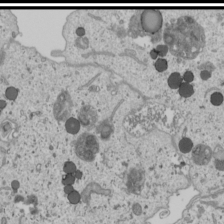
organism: Human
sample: Mitochondria in U2OS cells